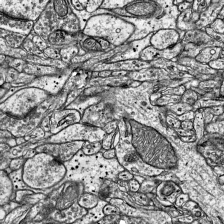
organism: Mouse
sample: Visual Cortex